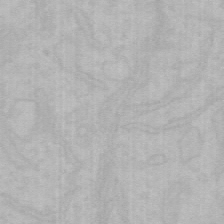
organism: Mouse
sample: Choroid plexus